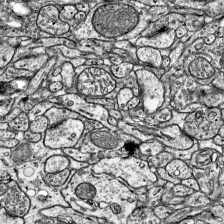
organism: Mouse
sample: Visual Cortex